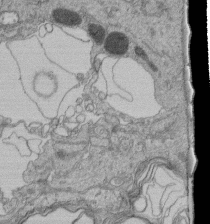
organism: Human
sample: Retinal organoid Rod and Cone cells